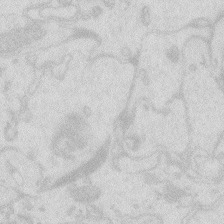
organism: Zebrafish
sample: Macrophage